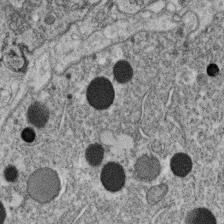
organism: C. elegans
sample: C. elegans oocyte; sperm cells